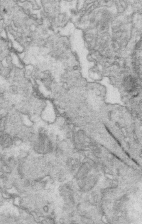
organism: Mouse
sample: Multiciliated cells